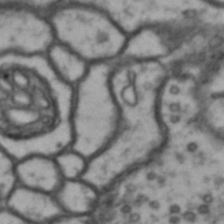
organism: Drosophila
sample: Brain